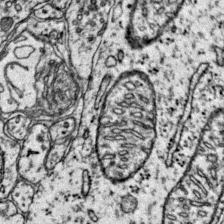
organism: Mouse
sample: Primary visual cortex